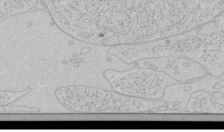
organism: Human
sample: Mitochondria in HCT116 cells